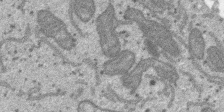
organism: Human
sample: Lung epithelial cells infected with SARS-CoV-2